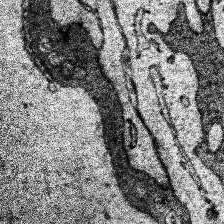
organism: Human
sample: Temporal Lobe